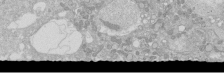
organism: Human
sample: Caco-2 cells